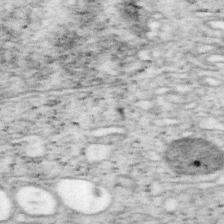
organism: Mouse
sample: OT-I killer T cells with ID8 ovarian cancer cells